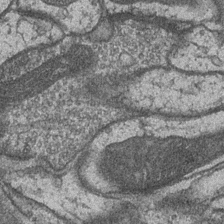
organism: Drosophila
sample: Optic medulla